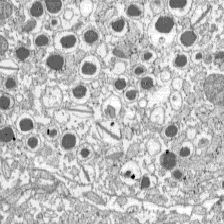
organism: C57BL Mouse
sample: Pancreatic islet